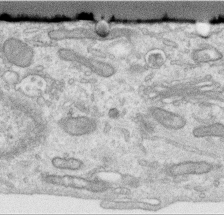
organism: Human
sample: Centriole in RPE cells